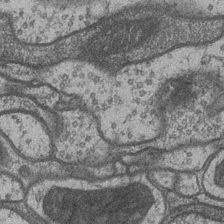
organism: Drosophila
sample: Optic medulla